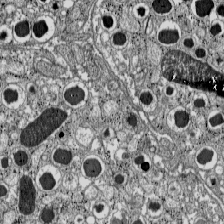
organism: C57BL Mouse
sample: Pancreatic islet